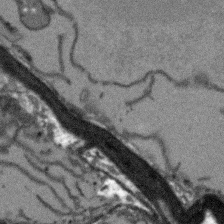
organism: Arabidopsis thaliana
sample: Root tip